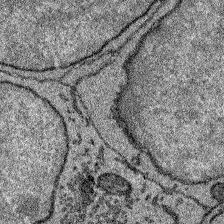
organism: Zebrafish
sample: Larval olfactory bulb